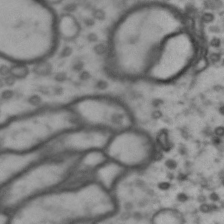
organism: Drosophila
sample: Brain